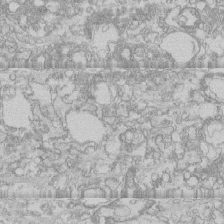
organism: Human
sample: CRL-1474